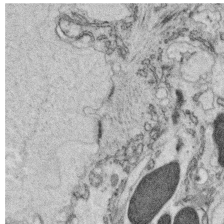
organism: C. elegans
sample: C. elegans oocyte; sperm cells